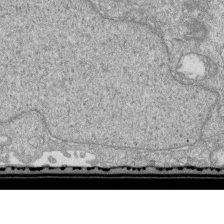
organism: Human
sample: HeLa cell HIV synapse